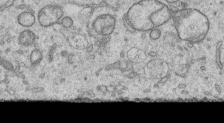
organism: Human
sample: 1205lu cells